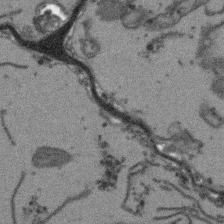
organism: Arabidopsis thaliana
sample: Root tip